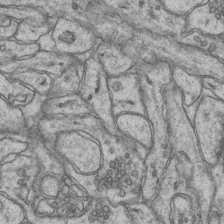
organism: Mouse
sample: CA1 Hippocampus